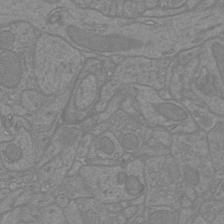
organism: Mouse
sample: Cortical neurons